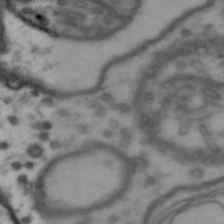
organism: Drosophila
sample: Brain